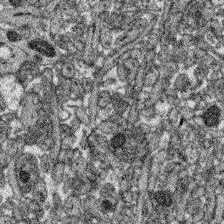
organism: Zebrafish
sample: Larval olfactory bulb